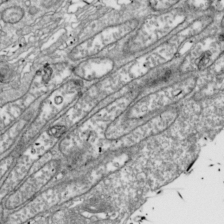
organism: Drosophila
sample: Cell division; meiosis; drosophila spermatocytes